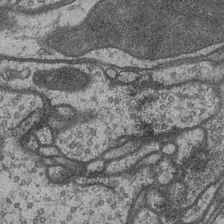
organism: Drosophila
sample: Optic medulla